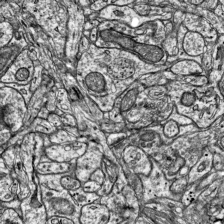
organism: Mouse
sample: Visual Cortex